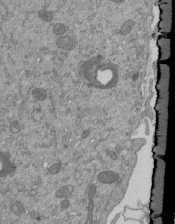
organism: Mouse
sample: ED-1 cell nuclei; centrioles